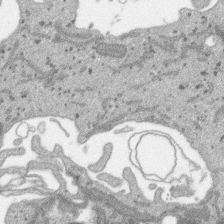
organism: Human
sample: Lung epithelial cells infected with SARS-CoV-2